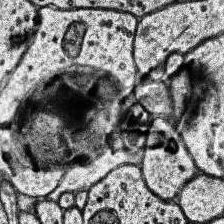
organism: Human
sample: Temporal Lobe